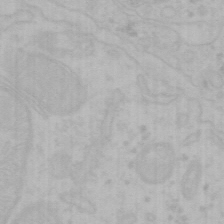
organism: Mouse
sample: Choroid plexus